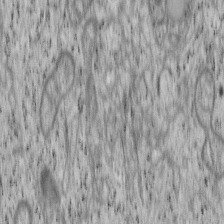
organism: Human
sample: HeLa cells